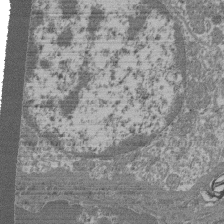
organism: Mouse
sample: Glomerulus